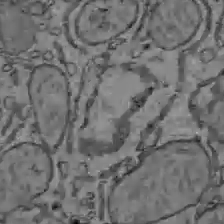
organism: C57BL Mouse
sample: Liver